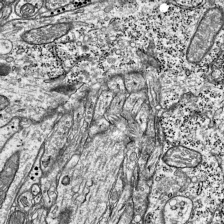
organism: Mouse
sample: Visual Cortex